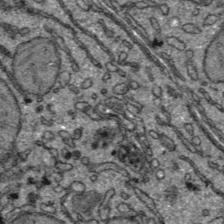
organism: C57BL Mouse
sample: Liver